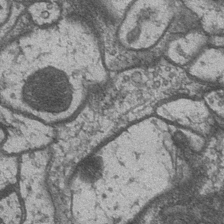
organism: Drosophila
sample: Optic medulla